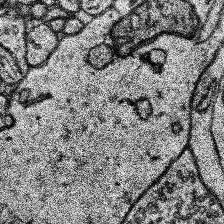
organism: Human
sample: Temporal Lobe